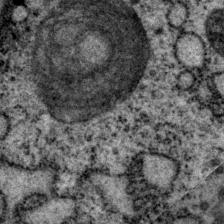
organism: P. pacificus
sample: Pharynx